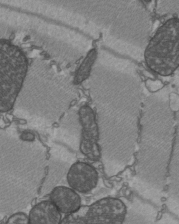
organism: C57BL Mouse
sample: Heart